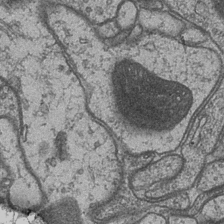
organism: Drosophila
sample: Optic medulla